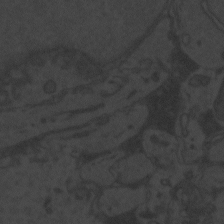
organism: Zebrafish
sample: Macrophage infected with Toxoplasma gondii